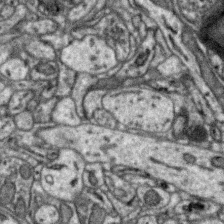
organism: Zebra finch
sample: Brain